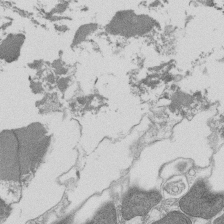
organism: Tetrahymena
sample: Cilia in tetrahymena